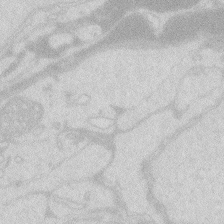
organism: Zebrafish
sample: Macrophage